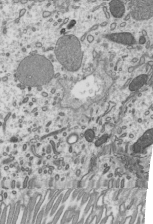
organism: Mouse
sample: Mouse epididymis efferent ductule cilia